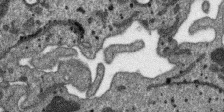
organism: Human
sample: Lung epithelial cells infected with SARS-CoV-2